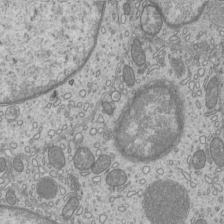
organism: Mouse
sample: Cilia; mouse epididymis